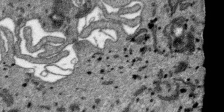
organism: Human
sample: Lung epithelial cells, uninfected (mock) control